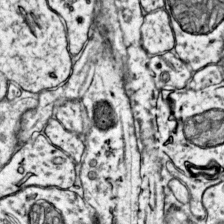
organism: Mouse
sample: Primary visual cortex